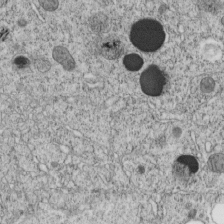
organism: C. elegans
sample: C. elegans embryo early stage